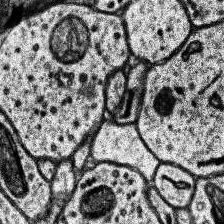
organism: Human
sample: Temporal Lobe